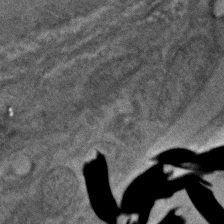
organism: C. elegans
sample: C. elegans embryo